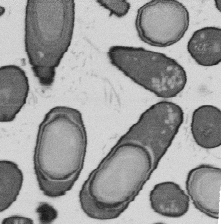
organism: B. subtilis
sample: Bacterial spore